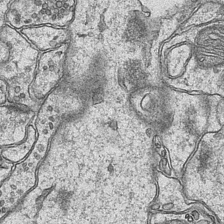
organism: Mouse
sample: CA1 Hippocampus